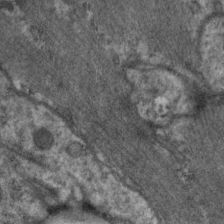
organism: C. elegans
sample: Pharynx